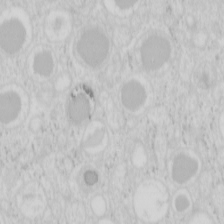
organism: Mouse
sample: Pancreas